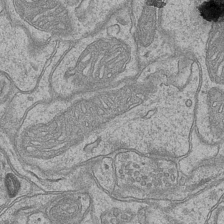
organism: Mouse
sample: CA1 Hippocampus